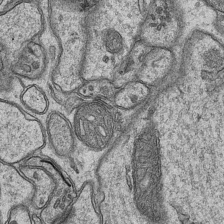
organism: Mouse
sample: CA1 Hippocampus